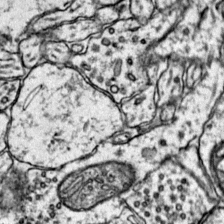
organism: Mouse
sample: Primary visual cortex